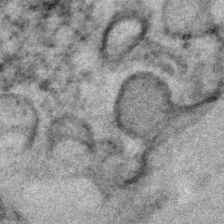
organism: Human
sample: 1205lu cells